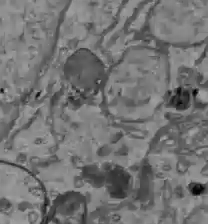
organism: C57BL Mouse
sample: Liver